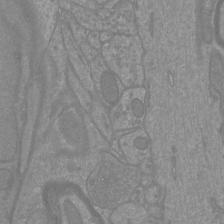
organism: Mouse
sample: Cortical neurons